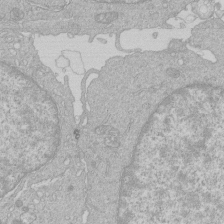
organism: Human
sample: Macrophage cells